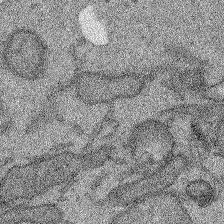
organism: Human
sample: HeLa cells